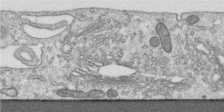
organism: Human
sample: Centriole in RPE cells